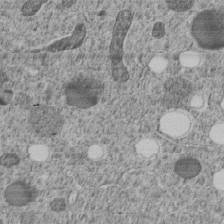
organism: C. elegans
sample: C. elegans embryo early stage